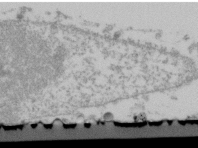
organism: Human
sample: U2-OS cells